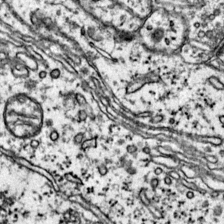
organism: Mouse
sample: Primary visual cortex